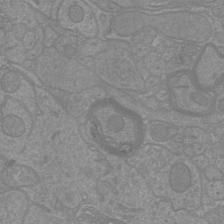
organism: Mouse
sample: Cortical neurons